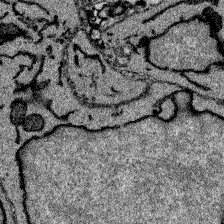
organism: Zebrafish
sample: Larval olfactory bulb